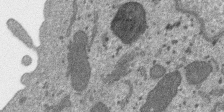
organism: Human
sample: Lung epithelial cells infected with SARS-CoV-2